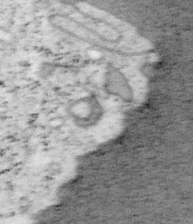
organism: Mouse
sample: OT-I killer T cells with ID8 ovarian cancer cells